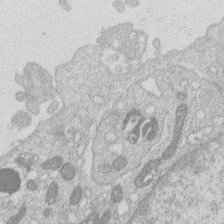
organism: Human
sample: Macrophage cells